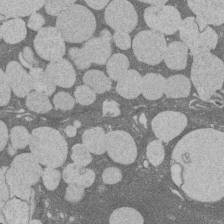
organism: Rat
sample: Salivary granule